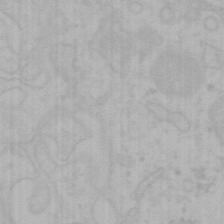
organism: Mouse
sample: Choroid plexus